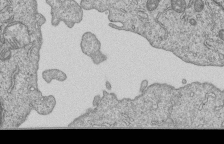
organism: Human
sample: MDA-MB-231 cells